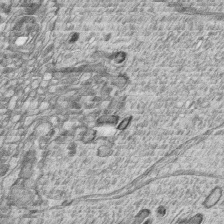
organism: Zebrafish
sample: synaptic ribbons in rod cells and cone cells